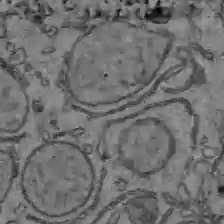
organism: C57BL Mouse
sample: Liver